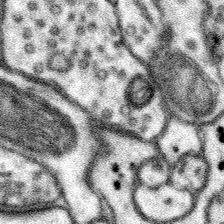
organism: Mouse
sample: Somatosensory cortex neuropil